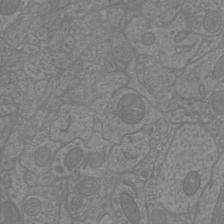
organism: Mouse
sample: Cortical neurons